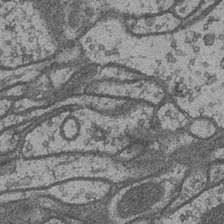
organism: Drosophila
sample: Optic medulla